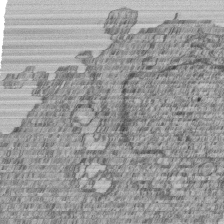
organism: Human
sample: MDA-MB-231 cells